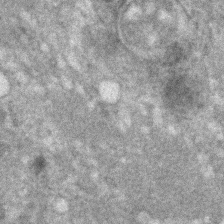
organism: Zebrafish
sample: Zebrafish embryo